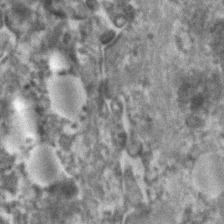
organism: Human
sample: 1205lu cells